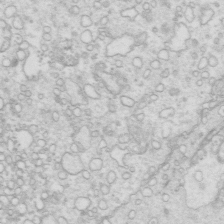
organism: Mouse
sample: Multiciliated cells